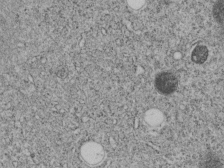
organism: C. elegans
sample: C. elegans embryo early stage